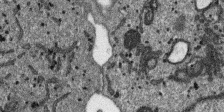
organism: Human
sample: Lung epithelial cells infected with SARS-CoV-2